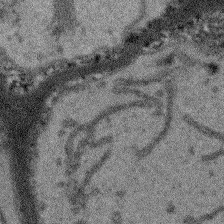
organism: Arabidopsis thaliana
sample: Root tip